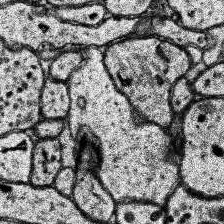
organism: Human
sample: Temporal Lobe